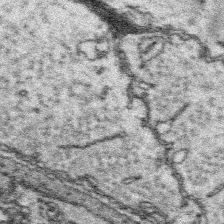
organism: Platynereis dumerilii